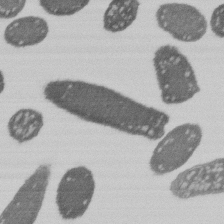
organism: E. coli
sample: Bacterial nucleoid